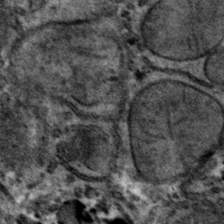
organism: Mouse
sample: Mouse hepatocytes